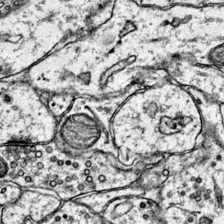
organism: Mouse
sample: Primary visual cortex